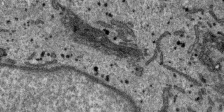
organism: Human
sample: Lung epithelial cells, uninfected (mock) control